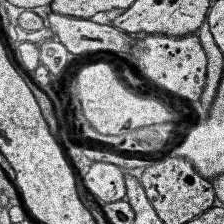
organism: Human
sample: Temporal Lobe